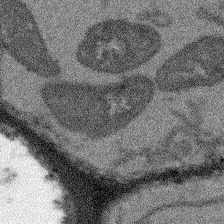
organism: Arabidopsis thaliana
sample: Root tip